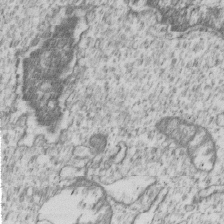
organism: Human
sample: MDA-MB-231 cells